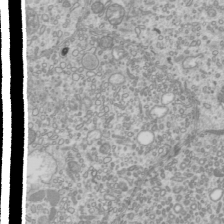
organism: Mouse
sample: Cilia; mouse epididymis